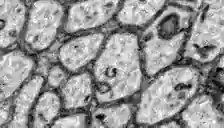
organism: Zebrafish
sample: Brain